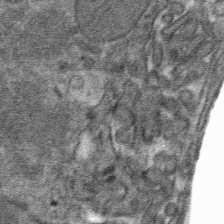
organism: Mouse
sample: Mouse hepatocytes